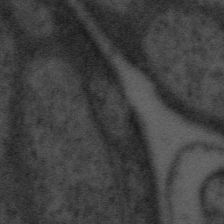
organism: Tuwongella immobilis